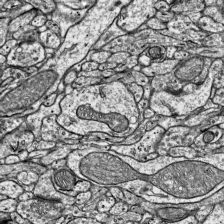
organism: Mouse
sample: Visual Cortex